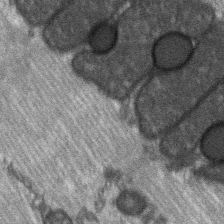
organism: C57BL Mouse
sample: Soleus